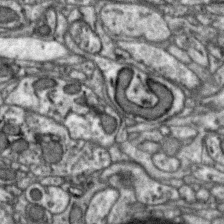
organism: Zebra finch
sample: Brain